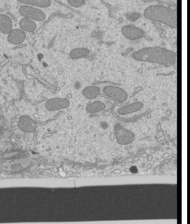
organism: Mouse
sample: Cilia; mouse epididymis